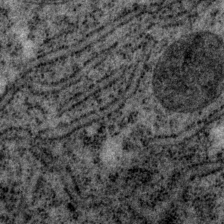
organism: P. pacificus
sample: Pharynx